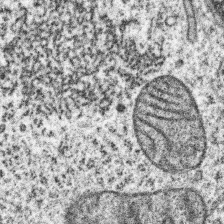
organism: Human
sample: HeLa cells